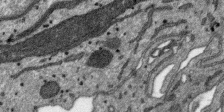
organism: Human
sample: Lung epithelial cells, uninfected (mock) control